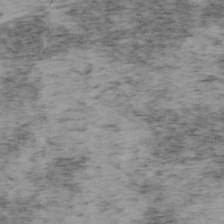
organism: Mouse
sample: OT-I killer T cells with ID8 ovarian cancer cells